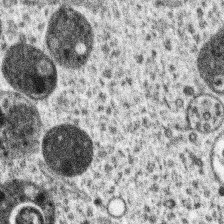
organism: Human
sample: HeLa cells